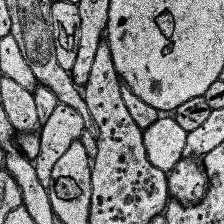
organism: Human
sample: Temporal Lobe